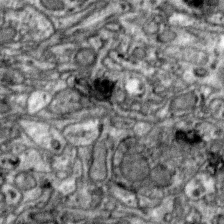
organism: Zebra finch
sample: Brain